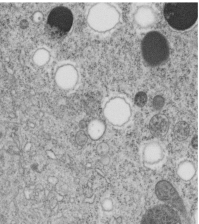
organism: C. elegans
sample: C. elegans embryo early stage